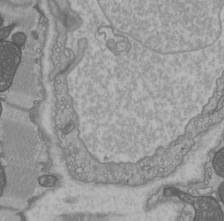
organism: C57BL Mouse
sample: Heart